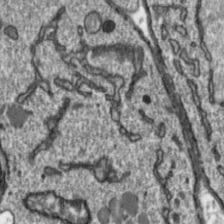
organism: Toxoplasma gondii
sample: Parasites in a vacuole inside a host cell